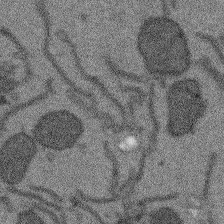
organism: Arabidopsis thaliana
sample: Root tip